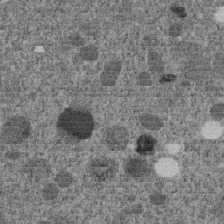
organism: C. elegans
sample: C. elegans embryo early stage